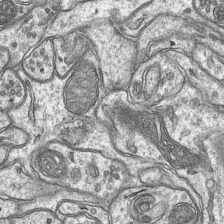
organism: Mouse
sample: CA1 Hippocampus